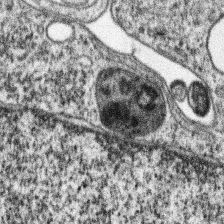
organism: Human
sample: HeLa cells